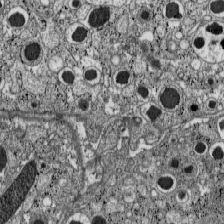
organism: C57BL Mouse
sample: Pancreatic islet